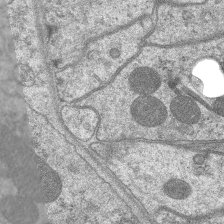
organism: C. elegans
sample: Pharynx